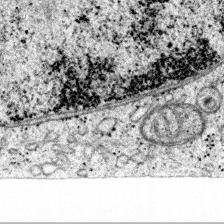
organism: Human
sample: HeLa cells